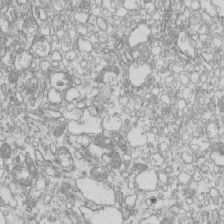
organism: Mouse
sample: Macrophages